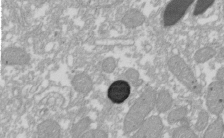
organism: Xenopus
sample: Cilia; centrioles in frog embryo cells